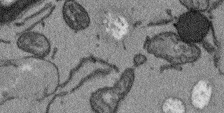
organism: Arabidopsis thaliana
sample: Root tip